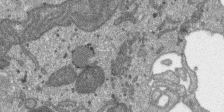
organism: Human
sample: Lung epithelial cells infected with SARS-CoV-2